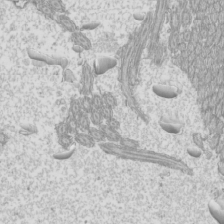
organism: Mouse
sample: Cilia; mouse epididymis